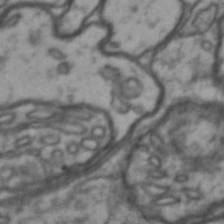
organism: Drosophila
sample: Brain